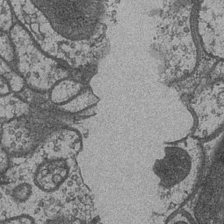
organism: Drosophila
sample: Optic medulla